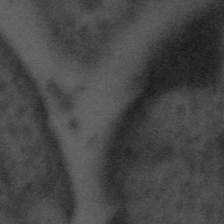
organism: Tuwongella immobilis